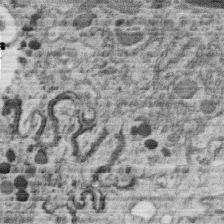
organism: C. elegans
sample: C. elegans oocyte; sperm cells